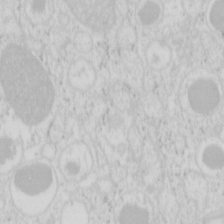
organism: Mouse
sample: Pancreas